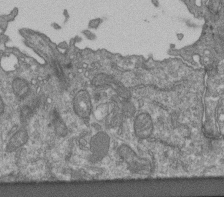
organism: Human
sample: Retinal organoid Rod and Cone cells